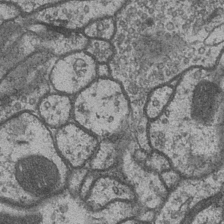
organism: Drosophila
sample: Optic medulla